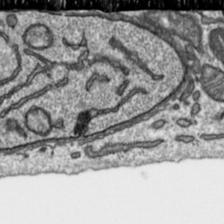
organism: Toxoplasma gondii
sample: Parasites in a vacuole inside a host cell